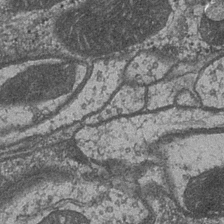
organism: Drosophila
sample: Optic medulla